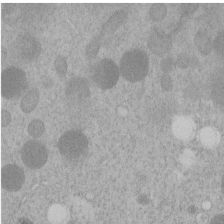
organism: C. elegans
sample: C. elegans embryo early stage